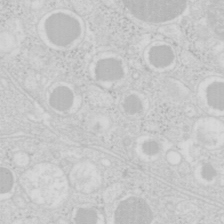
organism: Mouse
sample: Pancreas